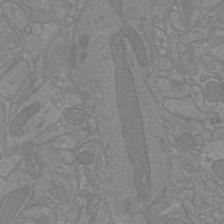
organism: Mouse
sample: Cortical neurons